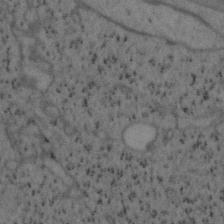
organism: Human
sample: HeLa cells